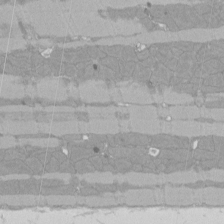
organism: Rat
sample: Left ventricle